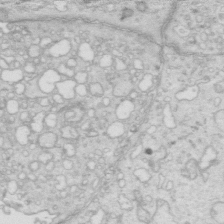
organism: Mouse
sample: Multiciliated cells